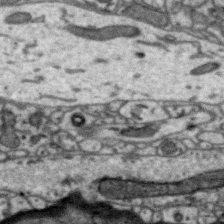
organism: Zebra finch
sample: Brain